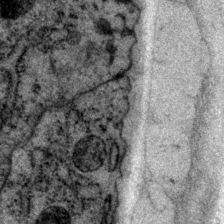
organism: P. pacificus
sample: Pharynx